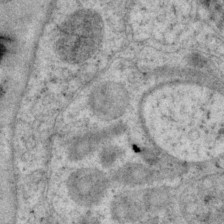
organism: P. pacificus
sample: Pharynx